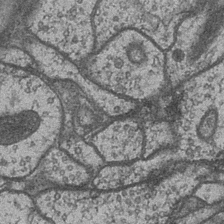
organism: Drosophila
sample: Optic medulla